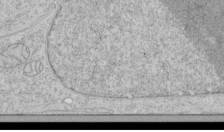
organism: Human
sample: Mitochondria in HCT116 cells